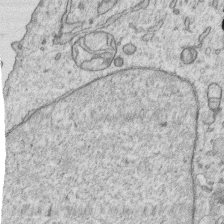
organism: Human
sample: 1205lu cells